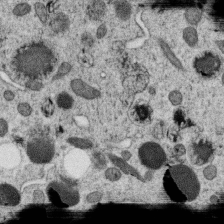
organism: C. elegans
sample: C. elegans oocyte; sperm cells